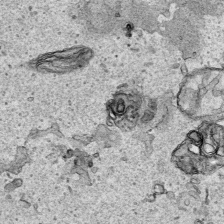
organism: Human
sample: Mitochondria in HCT116 cells